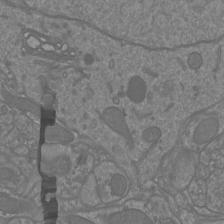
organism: Mouse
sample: Cortical neurons